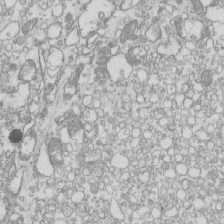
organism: Mouse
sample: Macrophages